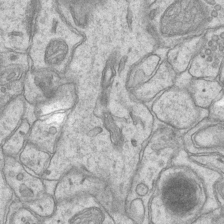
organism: Mouse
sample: CA1 Hippocampus